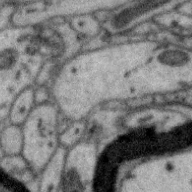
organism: Zebra finch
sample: Brain